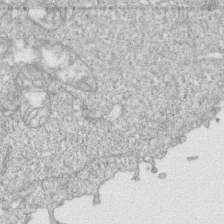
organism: Human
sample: HeLa cell HIV synapse